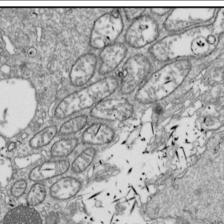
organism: Drosophila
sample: Cell division; meiosis; drosophila spermatocytes